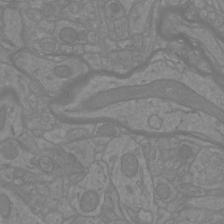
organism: Mouse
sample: Cortical neurons